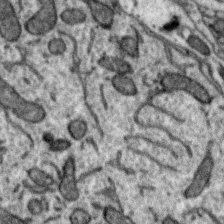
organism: Zebra finch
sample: Brain